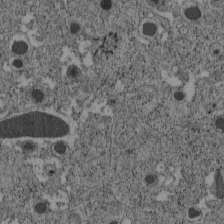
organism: C57BL Mouse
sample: Pancreatic islet